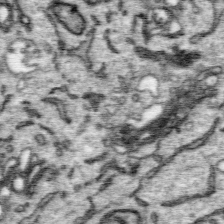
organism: Human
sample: HeLa cells